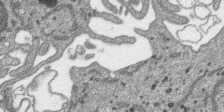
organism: Human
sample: Lung epithelial cells infected with SARS-CoV-2